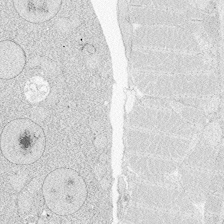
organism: Zebrafish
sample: Whole-Brain